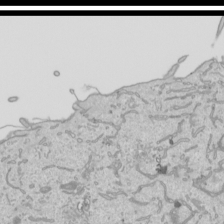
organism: Human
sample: Mitochondria in HCT116 cells